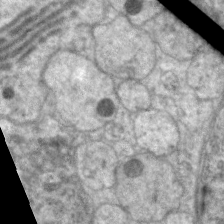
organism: C. elegans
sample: Pharynx